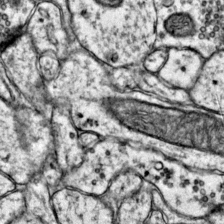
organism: Mouse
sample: Primary visual cortex